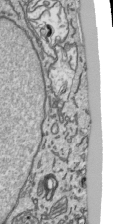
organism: Human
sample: Mitochondria in HCT116 cells